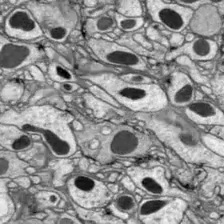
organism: Drosophila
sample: Optic lobe